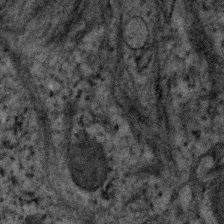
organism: Human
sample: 1205lu cells